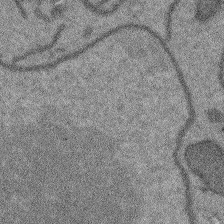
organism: Arabidopsis thaliana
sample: Root tip